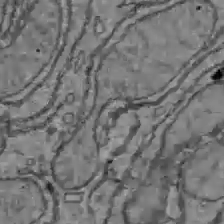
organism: C57BL Mouse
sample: Liver